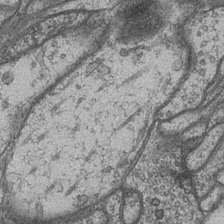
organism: Drosophila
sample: Optic medulla